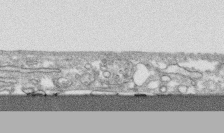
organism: Human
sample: CRL-1474